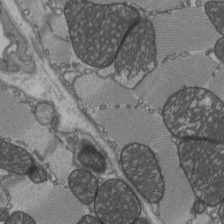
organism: C57BL Mouse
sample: Heart